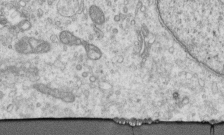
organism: Human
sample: Centriole in RPE cells